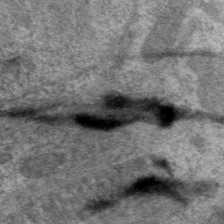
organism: C. elegans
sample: Pharynx